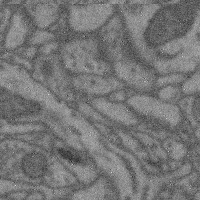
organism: Mouse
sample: Cerebral cortex